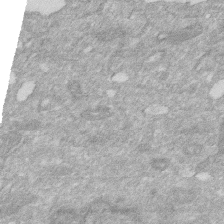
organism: Human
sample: HIV infected U937 cells